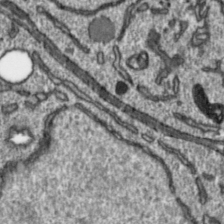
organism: Toxoplasma gondii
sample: Parasites in a vacuole inside a host cell